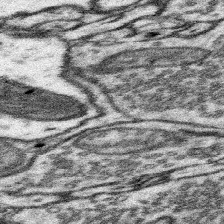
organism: Mouse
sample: Somatosensory cortex neuropil